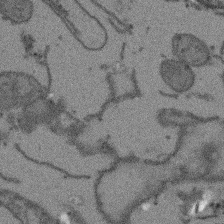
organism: Arabidopsis thaliana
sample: Root tip